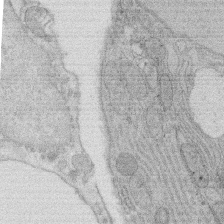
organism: Rat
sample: Salivary granule